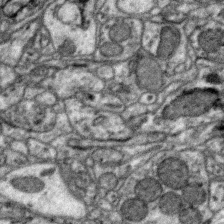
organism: Zebra finch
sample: Brain